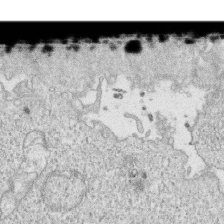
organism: Human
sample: HeLa cell HIV synapse